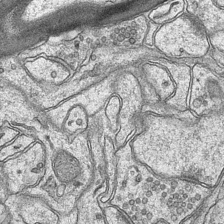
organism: Mouse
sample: CA1 Hippocampus